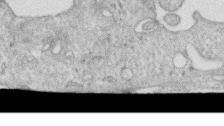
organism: Human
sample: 1205lu cells